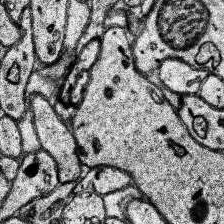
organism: Human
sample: Temporal Lobe